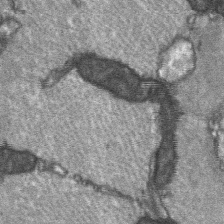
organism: C57BL Mouse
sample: Soleus